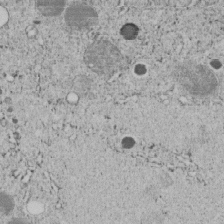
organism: C. elegans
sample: C. elegans embryo early stage